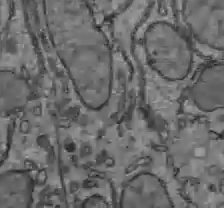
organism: C57BL Mouse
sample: Liver